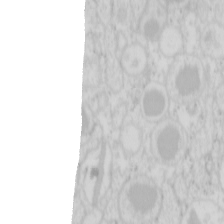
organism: Mouse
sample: Pancreas